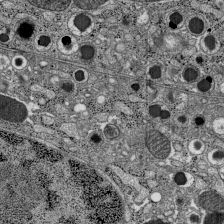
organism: C57BL Mouse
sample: Pancreatic islet